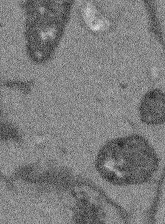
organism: Arabidopsis thaliana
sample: Root tip